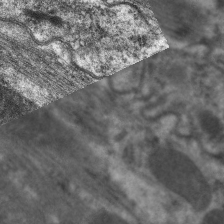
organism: C. elegans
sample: Pharynx